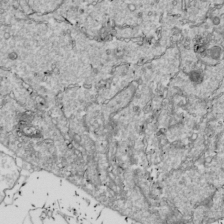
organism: Drosophila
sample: Cell division; meiosis; drosophila spermatocytes